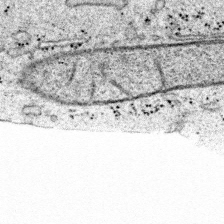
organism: Human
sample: HeLa cells